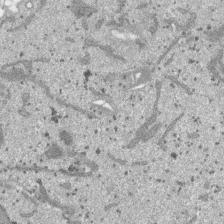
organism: Human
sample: Lung epithelial cells infected with SARS-CoV-2